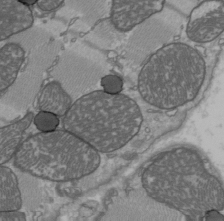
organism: C57BL Mouse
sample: Heart